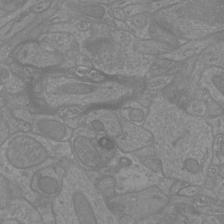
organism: Mouse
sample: Cortical neurons